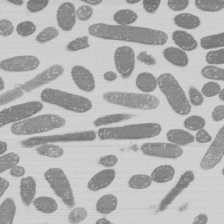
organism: E. coli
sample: Bacterial nucleoid